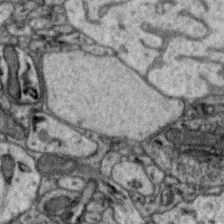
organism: Zebra finch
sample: Brain